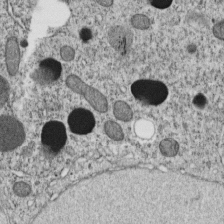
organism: C. elegans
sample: C. elegans embryo early stage